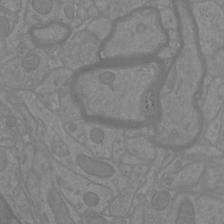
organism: Mouse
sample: Cortical neurons